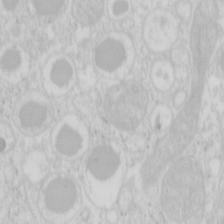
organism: Mouse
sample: Pancreas